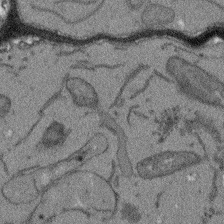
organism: Arabidopsis thaliana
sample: Root tip